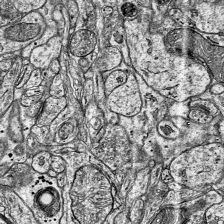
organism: Mouse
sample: Visual Cortex